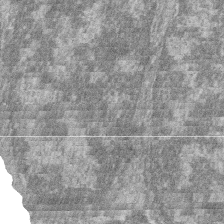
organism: Zebrafish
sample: Cilia; retinal pigment epithelium